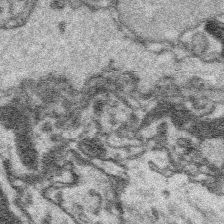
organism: Platynereis dumerilii